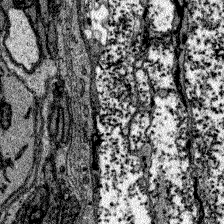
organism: Zebrafish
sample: Larval olfactory bulb